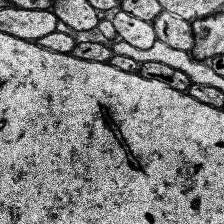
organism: Human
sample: Temporal Lobe